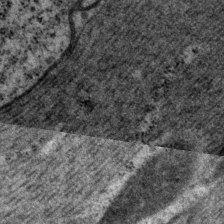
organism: P. pacificus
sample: Pharynx